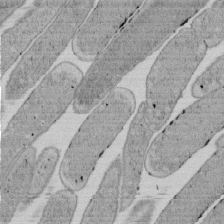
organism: E. coli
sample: Bacterial nucleoid